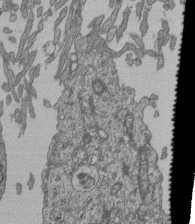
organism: Human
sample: Retinal organoid Rod and Cone cells